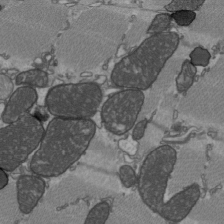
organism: C57BL Mouse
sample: Heart